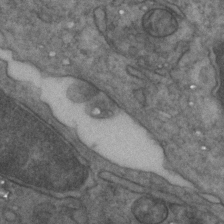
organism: Zebrafish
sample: Zebrafish embryo